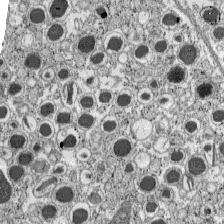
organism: C57BL Mouse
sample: Pancreatic islet